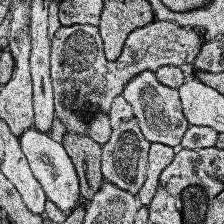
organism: Human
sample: Temporal Lobe